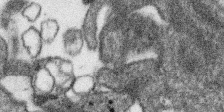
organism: Human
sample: Lung epithelial cells infected with SARS-CoV-2